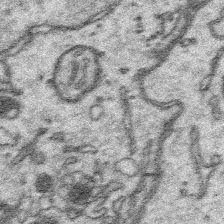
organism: Platynereis dumerilii